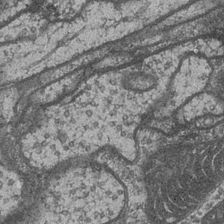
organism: Drosophila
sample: Optic medulla